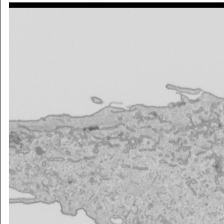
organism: Human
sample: Mitochondria in HCT116 cells